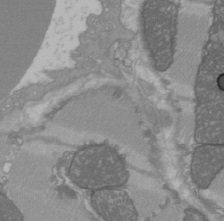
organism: C57BL Mouse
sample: Heart